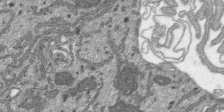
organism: Human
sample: Lung epithelial cells infected with SARS-CoV-2